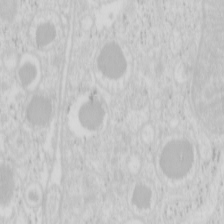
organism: Mouse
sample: Pancreas